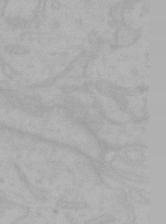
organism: Mouse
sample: Choroid plexus